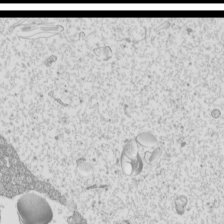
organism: Mouse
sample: Cilia; mouse epididymis